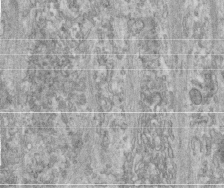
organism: Human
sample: Centriole in fibroblast cells